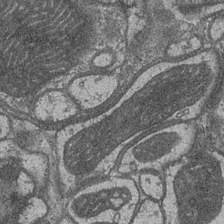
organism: Drosophila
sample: Optic medulla